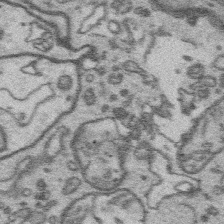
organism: Platynereis dumerilii